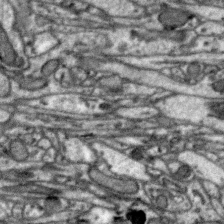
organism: Zebra finch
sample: Brain